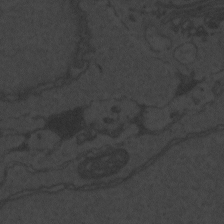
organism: Zebrafish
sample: Macrophage infected with Toxoplasma gondii